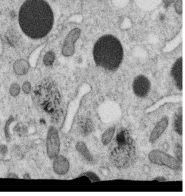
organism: C. elegans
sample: C. elegans oocyte; sperm cells